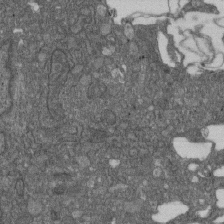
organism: Drosophila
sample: Nephrocyte